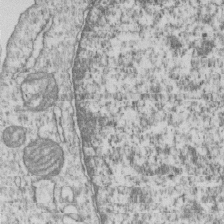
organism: Human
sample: MDA-MB-231 cells